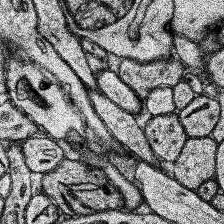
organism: Human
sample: Temporal Lobe